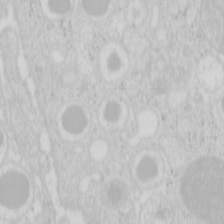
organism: Mouse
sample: Pancreas